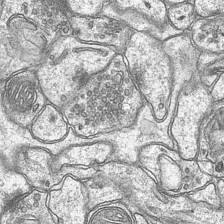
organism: Mouse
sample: CA1 Hippocampus